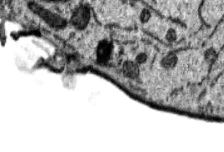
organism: Human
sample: HeLa cells